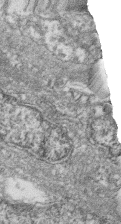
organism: Zebrafish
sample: Cilia; retinal pigment epithelium